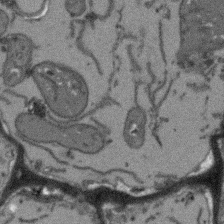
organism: Arabidopsis thaliana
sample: Root tip